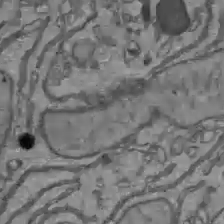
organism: C57BL Mouse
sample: Liver